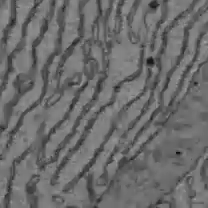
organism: C57BL Mouse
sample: Liver